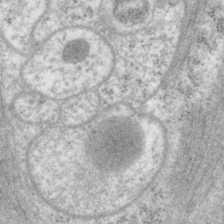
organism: P. pacificus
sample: Pharynx